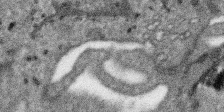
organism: Human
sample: Lung epithelial cells infected with SARS-CoV-2